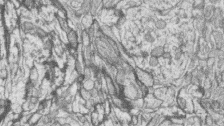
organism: Zebrafish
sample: synaptic ribbons in rod cells and cone cells